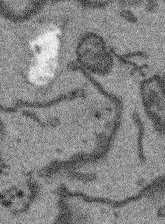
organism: Arabidopsis thaliana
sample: Root tip